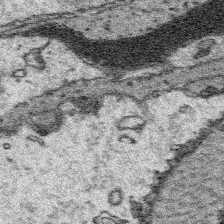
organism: Platynereis dumerilii